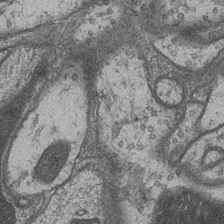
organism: Drosophila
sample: Optic medulla